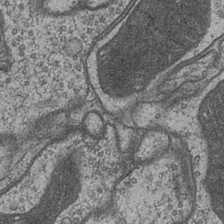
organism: Drosophila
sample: Optic medulla